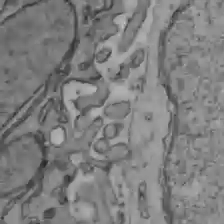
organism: C57BL Mouse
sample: Liver